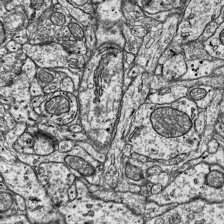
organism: Mouse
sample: Visual Cortex